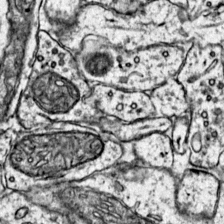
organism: Mouse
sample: Primary visual cortex